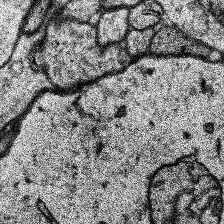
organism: Human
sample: Temporal Lobe